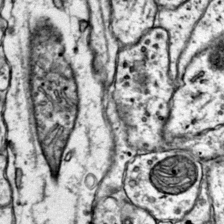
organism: Mouse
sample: Primary visual cortex